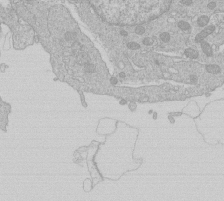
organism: Human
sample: Macrophage cells